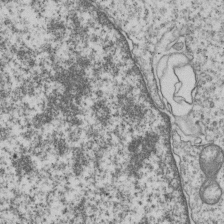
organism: Human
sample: MDA-MB-231 cells